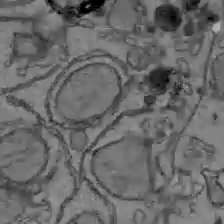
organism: C57BL Mouse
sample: Liver